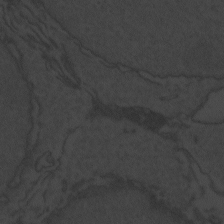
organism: Zebrafish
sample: Macrophage infected with Toxoplasma gondii